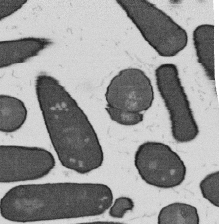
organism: B. subtilis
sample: Bacterial spore